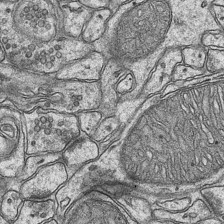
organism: Mouse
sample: CA1 Hippocampus